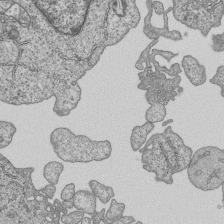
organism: Human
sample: MDA-MB-231 cells